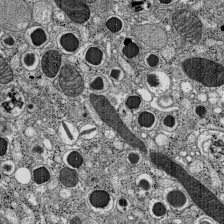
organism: C57BL Mouse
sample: Pancreatic islet